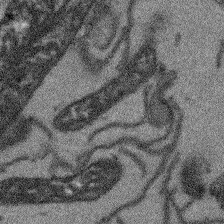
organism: Arabidopsis thaliana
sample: Root tip